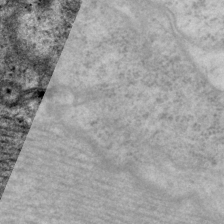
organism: P. pacificus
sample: Pharynx